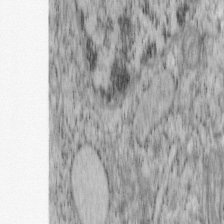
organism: Human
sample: HeLa cells